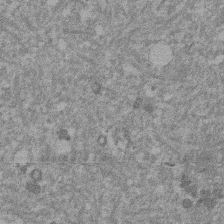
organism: Mouse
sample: Dividing mouse embryo 1 cell stage